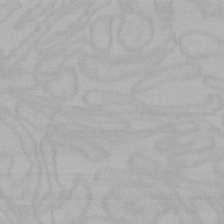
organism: Mouse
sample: Choroid plexus